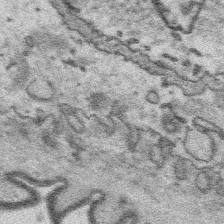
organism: Platynereis dumerilii